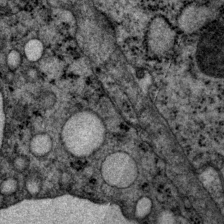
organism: P. pacificus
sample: Pharynx